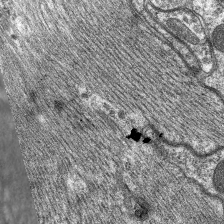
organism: C. elegans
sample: Pharynx